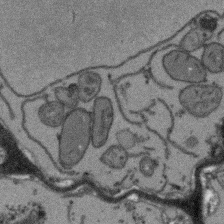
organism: Arabidopsis thaliana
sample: Root tip